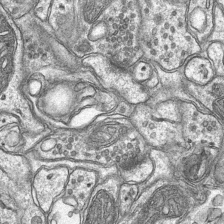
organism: Mouse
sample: CA1 Hippocampus